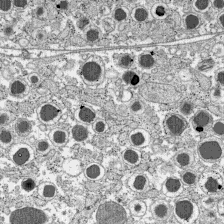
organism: C57BL Mouse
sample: Pancreatic islet